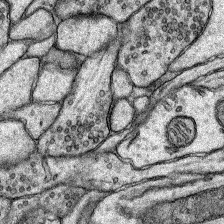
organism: Rat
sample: Hippocampus